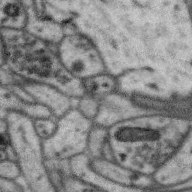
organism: Zebra finch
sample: Brain